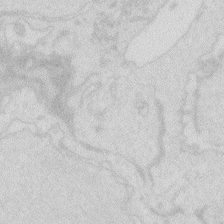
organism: Zebrafish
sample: Macrophage